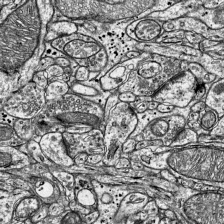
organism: Mouse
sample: Visual Cortex